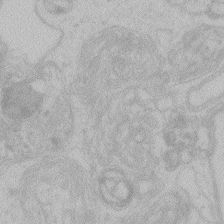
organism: Zebrafish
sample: Macrophage infected with Toxoplasma gondii